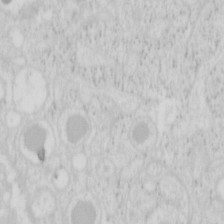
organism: Mouse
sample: Pancreas